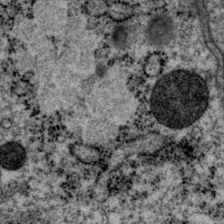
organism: P. pacificus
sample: Pharynx